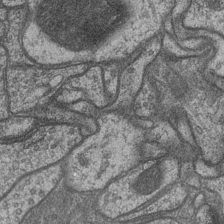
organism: Drosophila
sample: Optic medulla